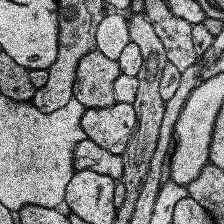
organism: Human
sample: Temporal Lobe